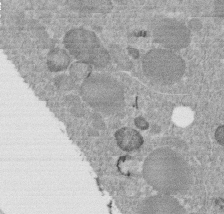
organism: C. elegans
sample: C. elegans embryo early stage